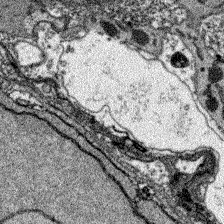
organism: Zebrafish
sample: Larval olfactory bulb